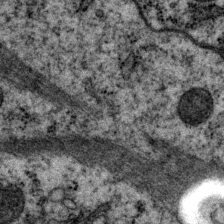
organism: P. pacificus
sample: Pharynx